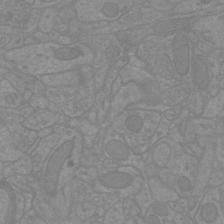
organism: Mouse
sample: Cortical neurons